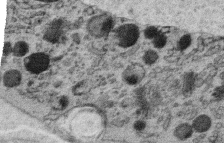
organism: C. elegans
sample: C. elegans oocyte; sperm cells